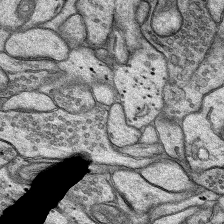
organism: Rat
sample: Hippocampus